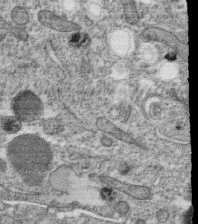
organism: C. elegans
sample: C. elegans oocyte; sperm cells